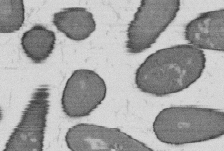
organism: B. subtilis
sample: Bacterial spore